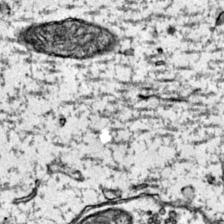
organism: Mouse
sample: Primary visual cortex